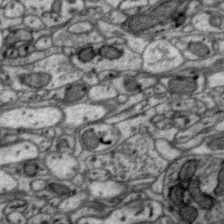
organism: Zebra finch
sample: Brain